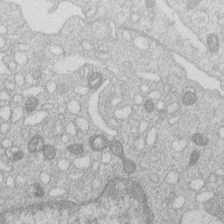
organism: Human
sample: Macrophage cells